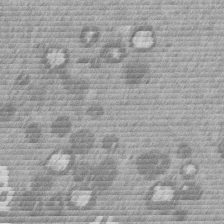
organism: Mouse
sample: Dividing mouse embryo 1 cell stage